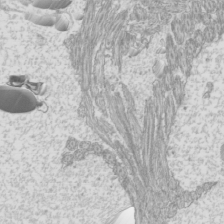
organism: Mouse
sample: Cilia; mouse epididymis